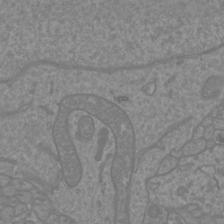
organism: Mouse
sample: Cortical neurons